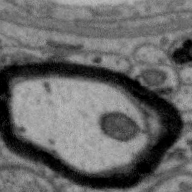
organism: Zebra finch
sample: Brain